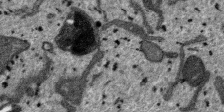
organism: Human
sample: Lung epithelial cells, uninfected (mock) control